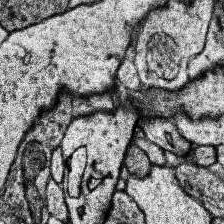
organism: Human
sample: Temporal Lobe